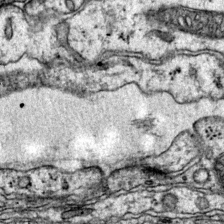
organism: Mouse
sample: Primary visual cortex